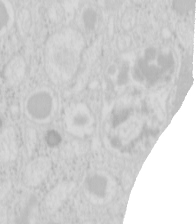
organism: Mouse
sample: Pancreas